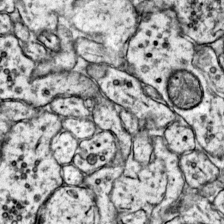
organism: Mouse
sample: Primary visual cortex